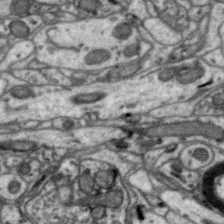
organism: Zebra finch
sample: Brain